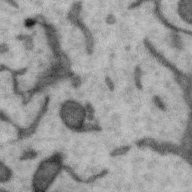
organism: Zebra finch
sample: Brain